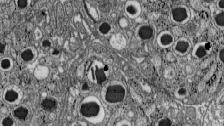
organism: C57BL Mouse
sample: Pancreatic islet